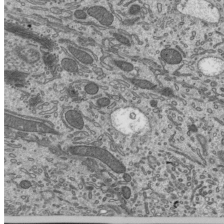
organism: Mouse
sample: Mouse epididymis efferent ductule cilia